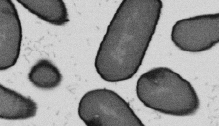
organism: B. subtilis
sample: Bacterial spore